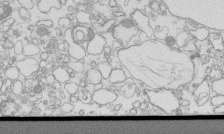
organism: Mouse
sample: Macrophages